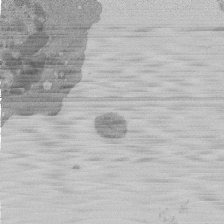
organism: Mouse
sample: Activated Pmel transgenic CD8+ T Cells